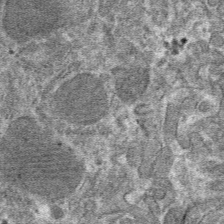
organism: Mouse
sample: Mouse hepatocytes